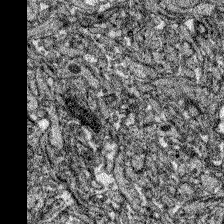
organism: Zebrafish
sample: Larval olfactory bulb